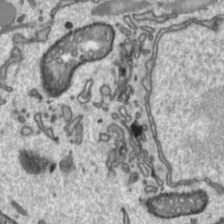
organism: Toxoplasma gondii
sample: Parasites in a vacuole inside a host cell